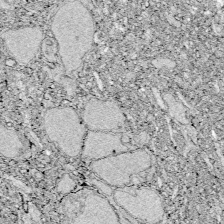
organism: Zebrafish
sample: Whole-Brain